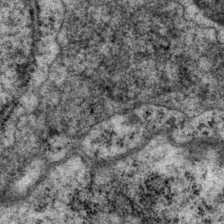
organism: P. pacificus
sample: Pharynx